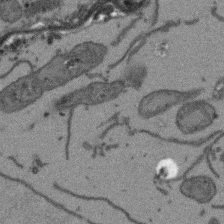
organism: Arabidopsis thaliana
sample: Root tip